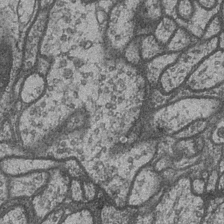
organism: Drosophila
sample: Optic medulla